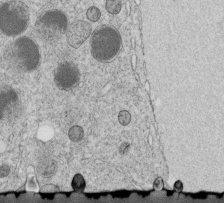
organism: C. elegans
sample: C. elegans embryo early stage